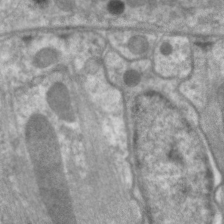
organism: C. elegans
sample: Pharynx